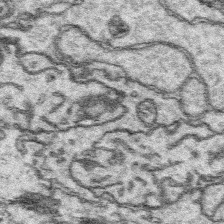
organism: Platynereis dumerilii